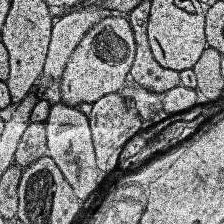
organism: Human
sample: Temporal Lobe